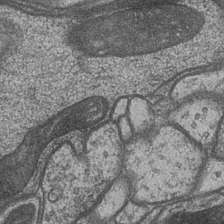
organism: Drosophila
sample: Optic medulla